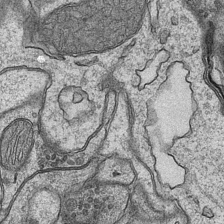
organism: Mouse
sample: CA1 Hippocampus